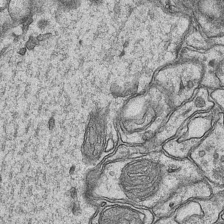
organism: Mouse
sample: CA1 Hippocampus